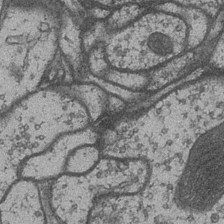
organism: Drosophila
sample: Optic medulla